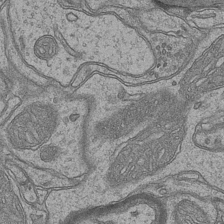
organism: Mouse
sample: CA1 Hippocampus